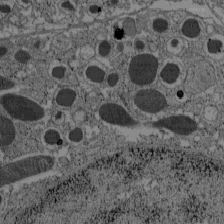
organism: C57BL Mouse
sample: Pancreatic islet